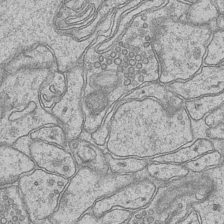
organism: Mouse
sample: CA1 Hippocampus